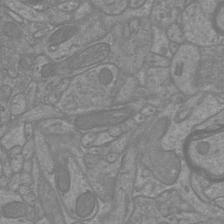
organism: Mouse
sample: Cortical neurons